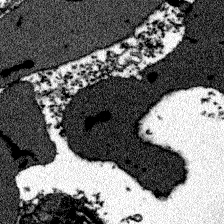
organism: Zebrafish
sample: Larval olfactory bulb